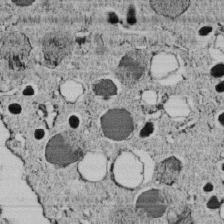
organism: C. elegans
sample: C. elegans embryo early stage